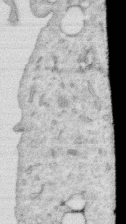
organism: Human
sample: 1205lu cells